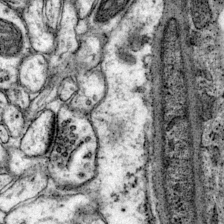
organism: Mouse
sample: Primary visual cortex